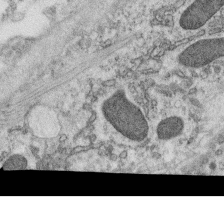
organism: C. elegans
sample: C. elegans oocyte; sperm cells